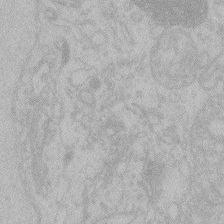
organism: Zebrafish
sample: Macrophage infected with Toxoplasma gondii